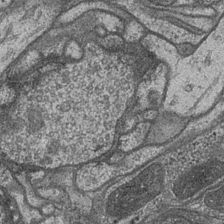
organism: Drosophila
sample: Optic medulla